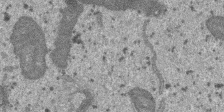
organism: Human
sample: Lung epithelial cells infected with SARS-CoV-2